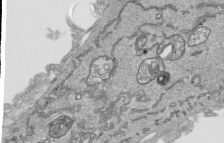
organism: Human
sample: Mitochondria in HCT116 cells